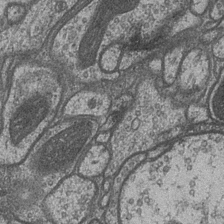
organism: Drosophila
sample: Optic medulla